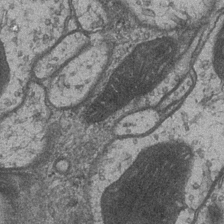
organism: Drosophila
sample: Optic medulla